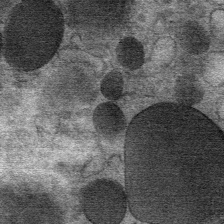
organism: Mouse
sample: Mouse Salivary gland